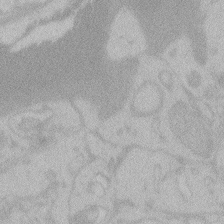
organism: Zebrafish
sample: Macrophage infected with Toxoplasma gondii